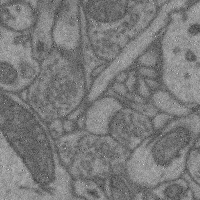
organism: Mouse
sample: Cerebral cortex